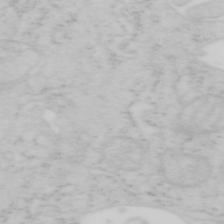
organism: Mouse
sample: OT-I killer T cells with ID8 ovarian cancer cells